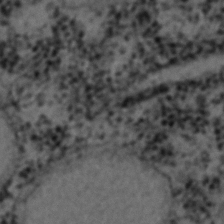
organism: C. elegans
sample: C. elegans embryo